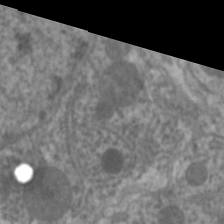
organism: C. elegans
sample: Pharynx